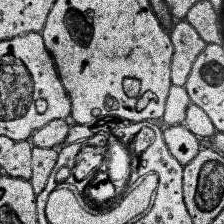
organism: Human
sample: Temporal Lobe